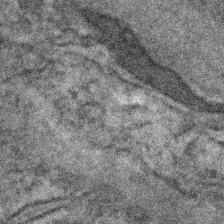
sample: Kidney